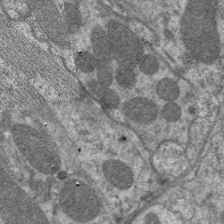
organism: C. elegans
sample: Pharynx